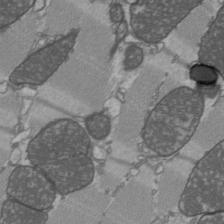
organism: C57BL Mouse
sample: Heart